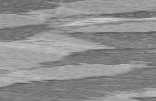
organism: C57BL Mouse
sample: Heart